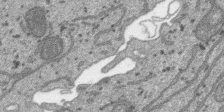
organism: Human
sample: Lung epithelial cells infected with SARS-CoV-2